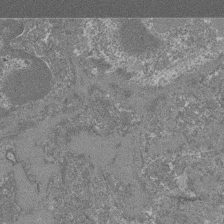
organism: Mouse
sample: Glomerulus